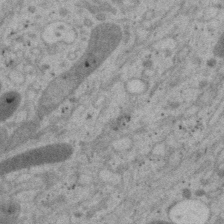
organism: Human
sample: HeLa cells